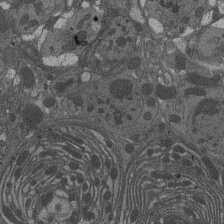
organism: Drosophila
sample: Antenna